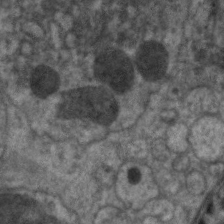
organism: C. elegans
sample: Pharynx